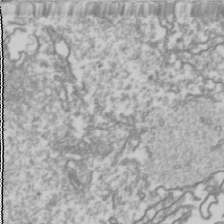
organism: Drosophila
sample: Cell division; meiosis; drosophila spermatocytes